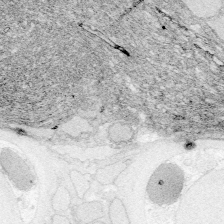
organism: Zebrafish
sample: Whole-Brain